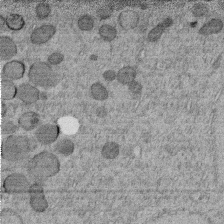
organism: C. elegans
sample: C. elegans embryo early stage